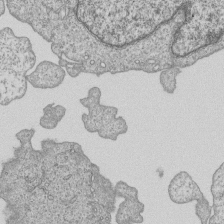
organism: Human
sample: MDA-MB-231 cells